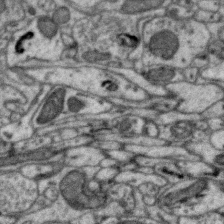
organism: Zebra finch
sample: Brain